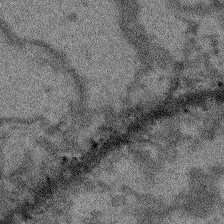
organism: Arabidopsis thaliana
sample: Root tip